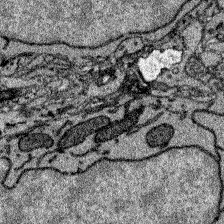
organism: Zebrafish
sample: Larval olfactory bulb